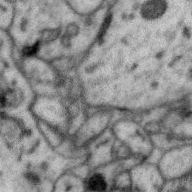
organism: Zebra finch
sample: Brain